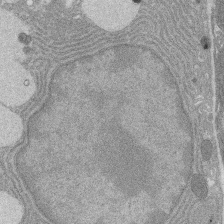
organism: Rat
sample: Salivary granule